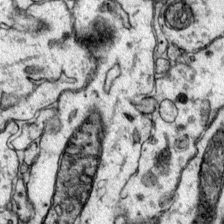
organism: Mouse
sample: Primary visual cortex